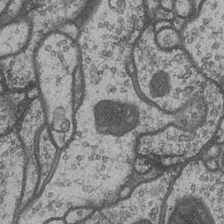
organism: Drosophila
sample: Optic medulla